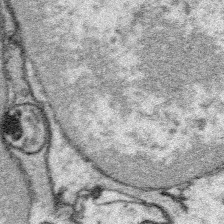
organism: Platynereis dumerilii